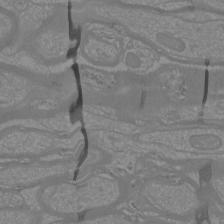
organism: Mouse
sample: Cortical neurons